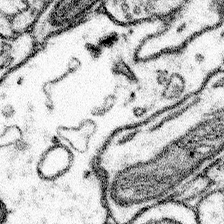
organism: Mouse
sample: Somatosensory cortex neuropil